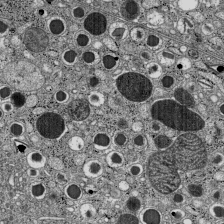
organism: C57BL Mouse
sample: Pancreatic islet